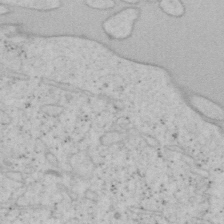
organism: Human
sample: HeLa cells